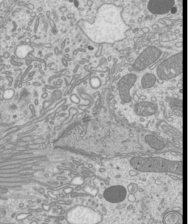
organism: Mouse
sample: Cilia; mouse epididymis